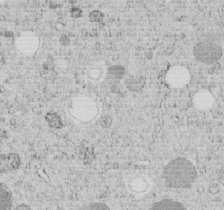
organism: C. elegans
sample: C. elegans embryo early stage